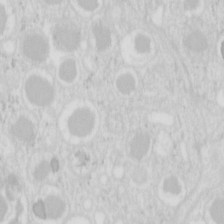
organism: Mouse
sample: Pancreas